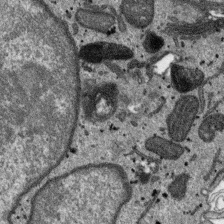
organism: Human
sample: Lung epithelial cells, uninfected (mock) control